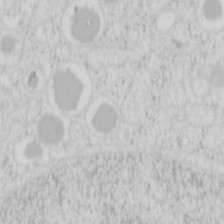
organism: Mouse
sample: Pancreas